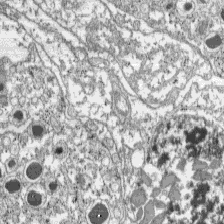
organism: C57BL Mouse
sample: Pancreatic islet